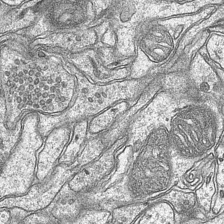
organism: Mouse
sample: CA1 Hippocampus